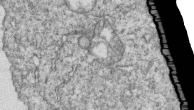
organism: Human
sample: HeLa cell HIV synapse